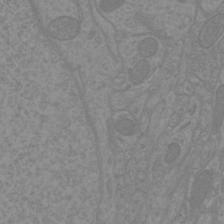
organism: Mouse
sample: Cortical neurons